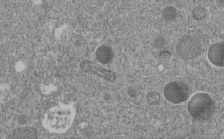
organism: C. elegans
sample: C. elegans embryo early stage